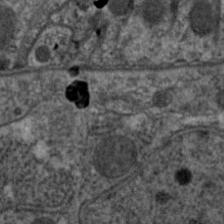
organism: C. elegans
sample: Pharynx